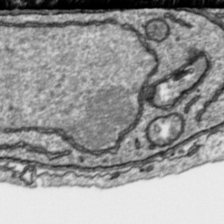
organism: Toxoplasma gondii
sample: Parasites in a vacuole inside a host cell